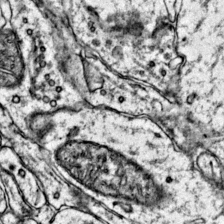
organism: Mouse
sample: Primary visual cortex